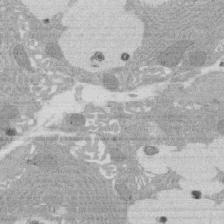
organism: Rat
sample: Salivary granule